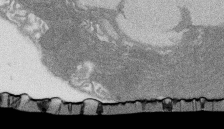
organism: Rat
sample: Salivary granule